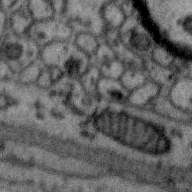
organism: Zebra finch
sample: Brain